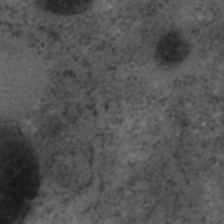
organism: C. elegans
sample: C. elegans embryo